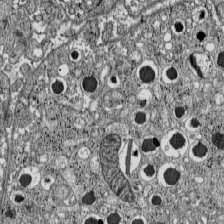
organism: C57BL Mouse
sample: Pancreatic islet